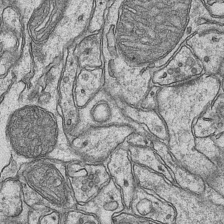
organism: Mouse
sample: CA1 Hippocampus